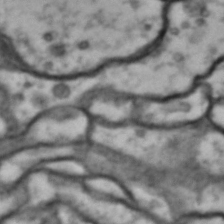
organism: Drosophila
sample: Brain